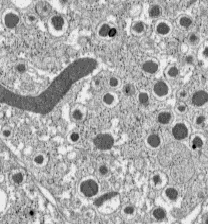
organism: C57BL Mouse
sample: Pancreatic islet